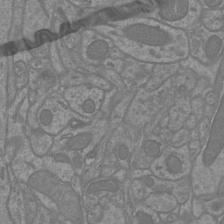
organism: Mouse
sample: Cortical neurons